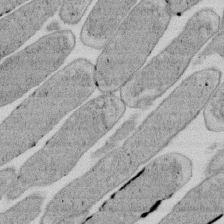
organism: E. coli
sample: Bacterial nucleoid